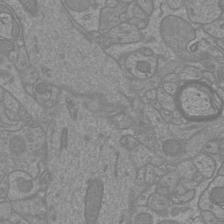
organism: Mouse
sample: Cortical neurons